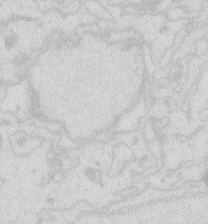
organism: Zebrafish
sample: Macrophage